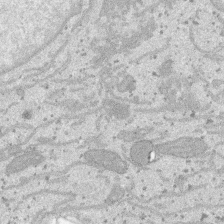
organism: Human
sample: Lung epithelial cells infected with SARS-CoV-2